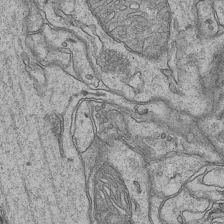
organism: Mouse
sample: CA1 Hippocampus